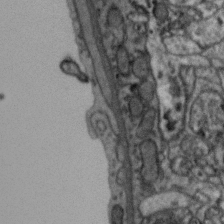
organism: Zebra finch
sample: Brain